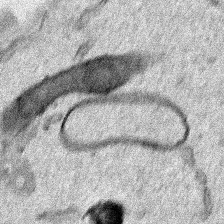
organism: Human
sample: Mitochondria in HCT116 cells